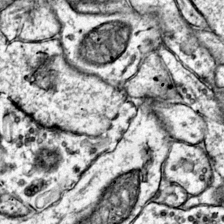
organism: Mouse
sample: Primary visual cortex